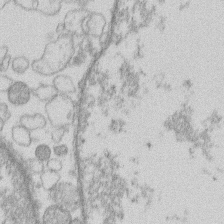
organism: Human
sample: Macrophage cells